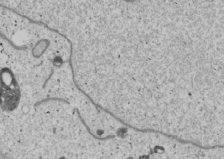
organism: Human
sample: Mitochondria in U2OS cells